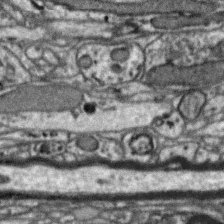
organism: Zebra finch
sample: Brain